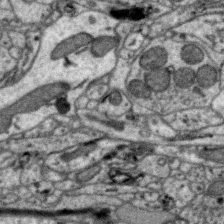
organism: Zebra finch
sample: Brain